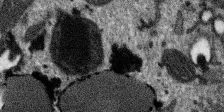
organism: Human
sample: Lung epithelial cells infected with SARS-CoV-2